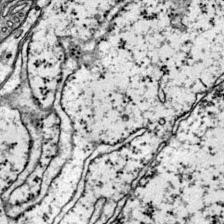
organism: Mouse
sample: Primary visual cortex